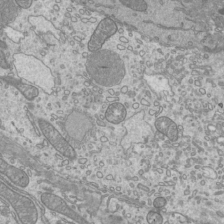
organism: Mouse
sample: Cilia; mouse epididymis